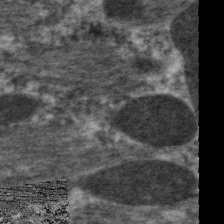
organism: C. elegans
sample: Pharynx